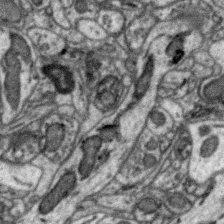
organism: Zebra finch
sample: Brain